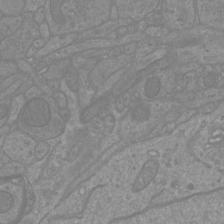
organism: Mouse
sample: Cortical neurons